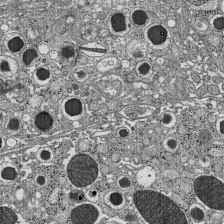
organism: C57BL Mouse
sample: Pancreatic islet